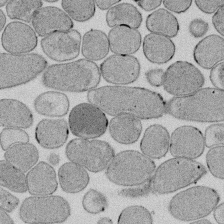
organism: E. coli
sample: Bacterial nucleoid